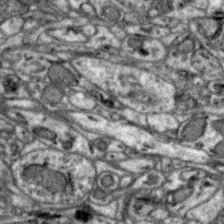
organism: Zebra finch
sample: Brain